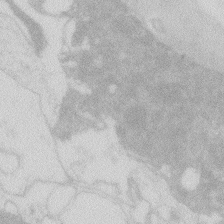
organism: Zebrafish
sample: Macrophage